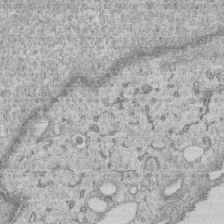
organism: Human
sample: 1205lu cells